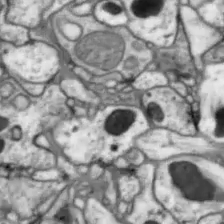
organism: Drosophila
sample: Optic lobe